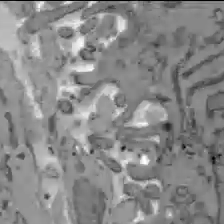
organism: C57BL Mouse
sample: Liver